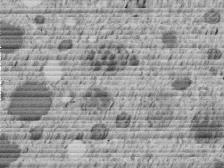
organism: C. elegans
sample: C. elegans embryo early stage